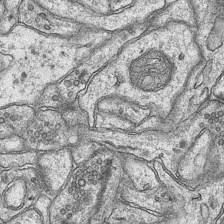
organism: Mouse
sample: CA1 Hippocampus